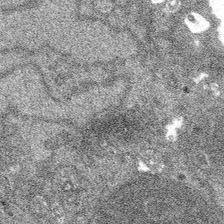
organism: Spongilla lacustris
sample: Multiple